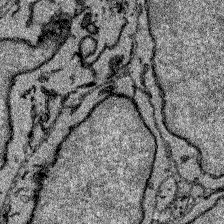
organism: Zebrafish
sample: Larval olfactory bulb